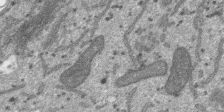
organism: Human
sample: Lung epithelial cells infected with SARS-CoV-2